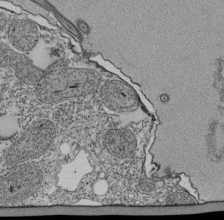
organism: Tetrahymena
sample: Cilia in tetrahymena